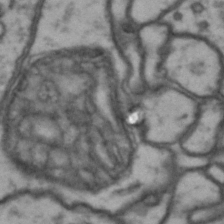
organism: Drosophila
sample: Brain